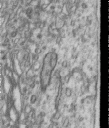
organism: Human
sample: Centriole in RPE cells